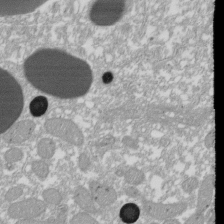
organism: Xenopus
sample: Cilia; centrioles in frog embryo cells